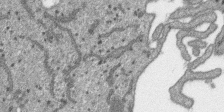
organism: Human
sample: Lung epithelial cells infected with SARS-CoV-2